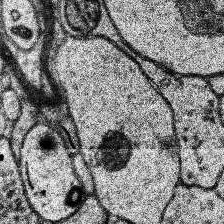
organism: Human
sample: Temporal Lobe